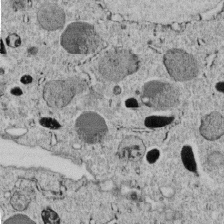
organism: C. elegans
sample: C. elegans embryo early stage